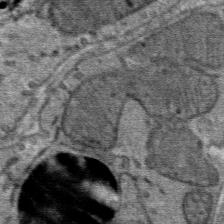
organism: Mouse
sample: Mouse Salivary gland